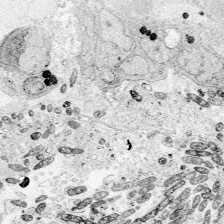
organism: Zebrafish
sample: Whole-Brain